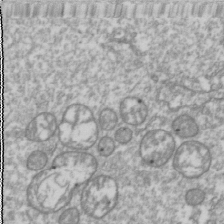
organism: Drosophila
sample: Cell division; meiosis; drosophila spermatocytes